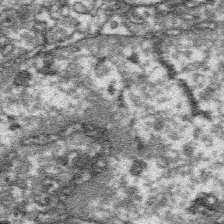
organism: Platynereis dumerilii